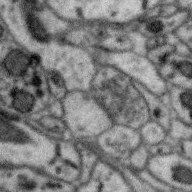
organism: Zebra finch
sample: Brain